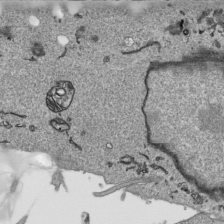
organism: Human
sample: Mitochondria in HCT116 cells